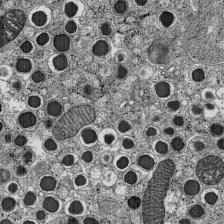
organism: C57BL Mouse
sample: Pancreatic islet